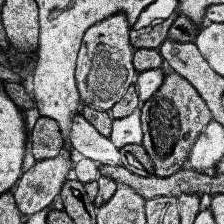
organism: Human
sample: Temporal Lobe